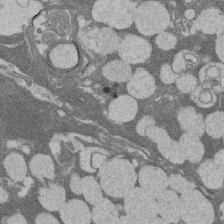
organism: Rat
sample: Salivary granule